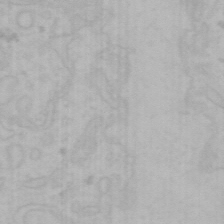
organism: Mouse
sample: Choroid plexus